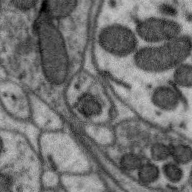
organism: Zebra finch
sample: Brain